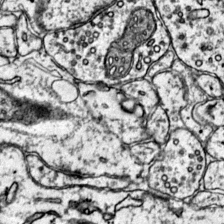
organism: Mouse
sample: Primary visual cortex